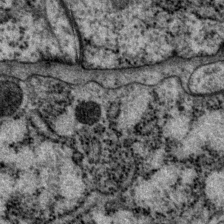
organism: P. pacificus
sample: Pharynx